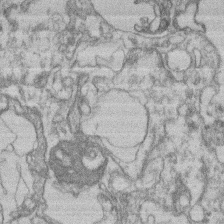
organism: Mouse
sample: T cell stromal cell synapse